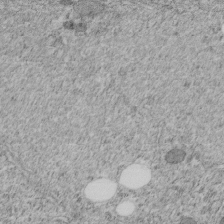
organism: C. elegans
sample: C. elegans embryo early stage